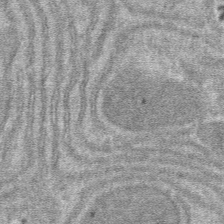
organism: Mouse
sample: Mouse hepatocytes